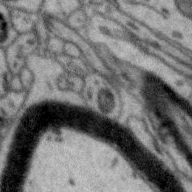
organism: Zebra finch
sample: Brain